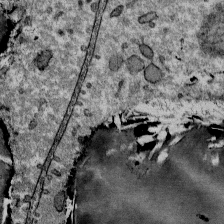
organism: Mouse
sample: Mouse Salivary gland